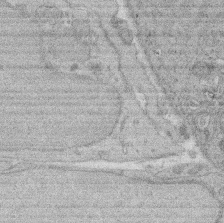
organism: Rat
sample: Salivary granule